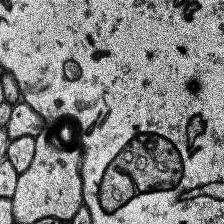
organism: Human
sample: Temporal Lobe